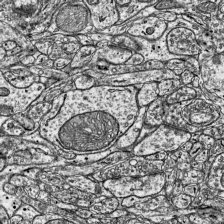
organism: Mouse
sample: Visual Cortex